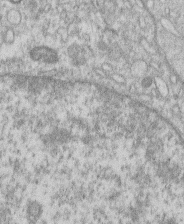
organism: Human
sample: Macrophage cells